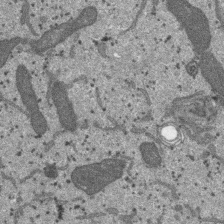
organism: Human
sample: Lung epithelial cells infected with SARS-CoV-2